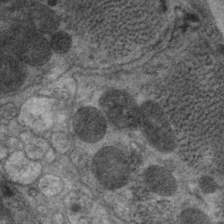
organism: C. elegans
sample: Pharynx